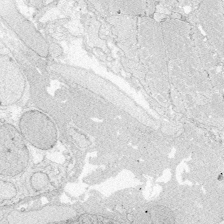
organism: Zebrafish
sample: Whole-Brain